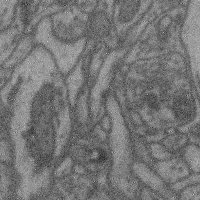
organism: Mouse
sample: Cerebral cortex